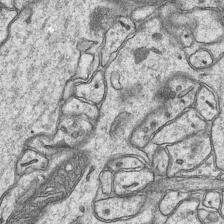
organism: Mouse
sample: CA1 Hippocampus